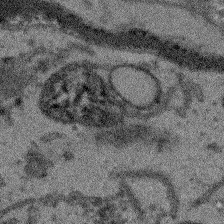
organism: Arabidopsis thaliana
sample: Root tip